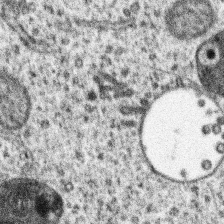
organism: Human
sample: HeLa cells